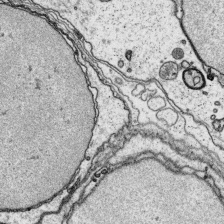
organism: Platynereis dumerilii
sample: Parapodia